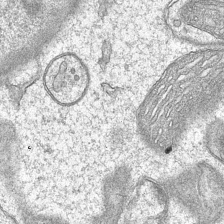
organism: Mouse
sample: CA1 Hippocampus